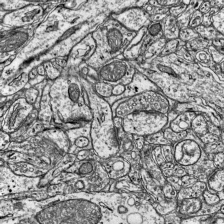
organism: Mouse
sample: Visual Cortex